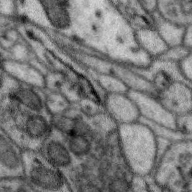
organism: Zebra finch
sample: Brain